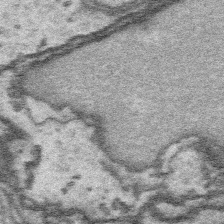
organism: Platynereis dumerilii